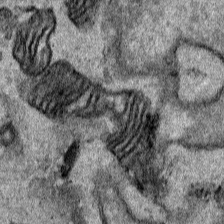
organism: Human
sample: Mitochondria in HCT116 cells